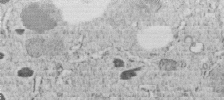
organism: C. elegans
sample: C. elegans embryo early stage